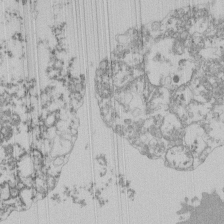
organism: Mouse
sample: Activated Pmel transgenic CD8+ T Cells